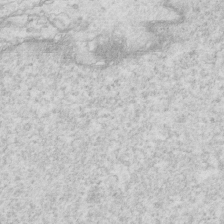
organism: Mouse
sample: Multiciliated cells